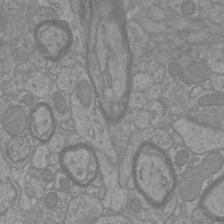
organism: Mouse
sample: Cortical neurons